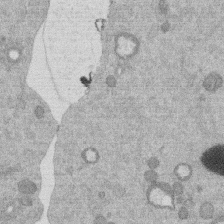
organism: Mouse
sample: Dividing mouse embryo 1 cell stage